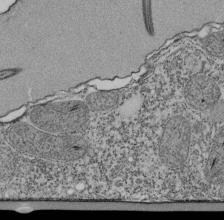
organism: Tetrahymena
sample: Cilia in tetrahymena